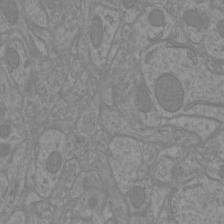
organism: Mouse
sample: Cortical neurons